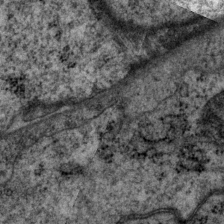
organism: P. pacificus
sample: Pharynx